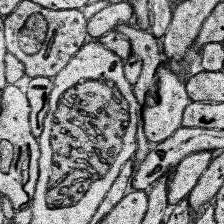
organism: Human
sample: Temporal Lobe